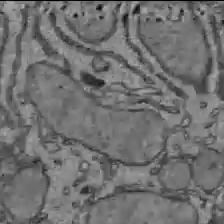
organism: C57BL Mouse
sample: Liver